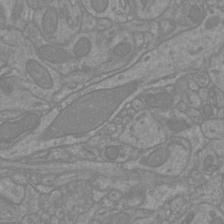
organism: Mouse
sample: Cortical neurons